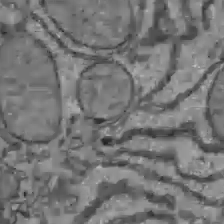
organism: C57BL Mouse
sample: Liver